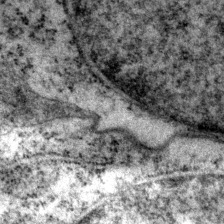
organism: P. pacificus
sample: Pharynx